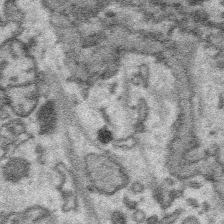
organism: Platynereis dumerilii